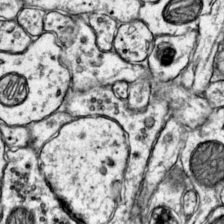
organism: Mouse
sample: Primary visual cortex